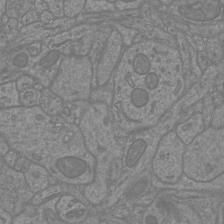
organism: Mouse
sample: Cortical neurons